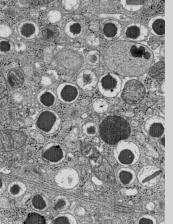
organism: C57BL Mouse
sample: Pancreatic islet